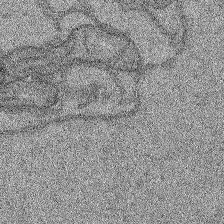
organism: Human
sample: HeLa cells